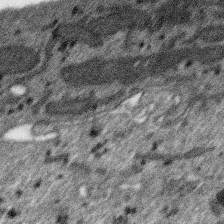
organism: Human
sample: Lung epithelial cells infected with SARS-CoV-2